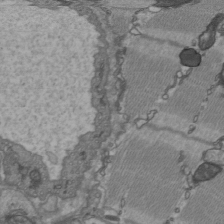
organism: C57BL Mouse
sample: Heart